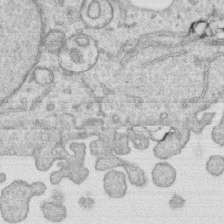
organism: Human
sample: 1205lu cells